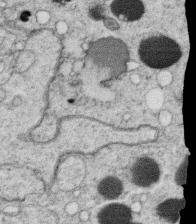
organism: C. elegans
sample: C. elegans oocyte; sperm cells